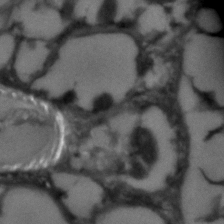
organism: C. elegans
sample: C. elegans embryo